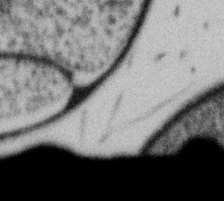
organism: Gemmata obscuriglobus